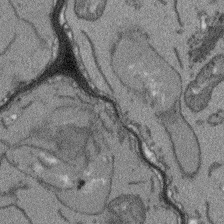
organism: Arabidopsis thaliana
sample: Root tip